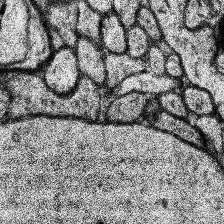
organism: Human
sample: Temporal Lobe